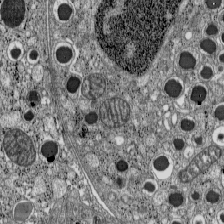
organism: C57BL Mouse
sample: Pancreatic islet